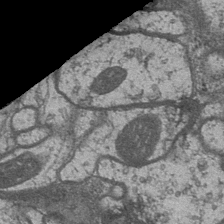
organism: Drosophila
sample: Optic medulla